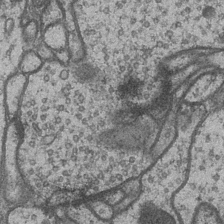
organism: Drosophila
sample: Optic medulla